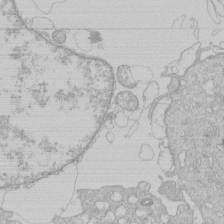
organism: Human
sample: Macrophage cells